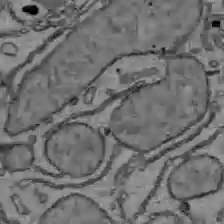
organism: C57BL Mouse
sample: Liver